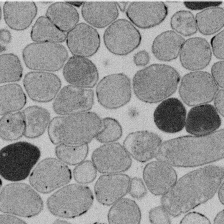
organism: E. coli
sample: Bacterial nucleoid